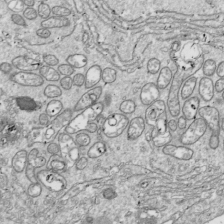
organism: Drosophila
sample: Cell division; meiosis; drosophila spermatocytes